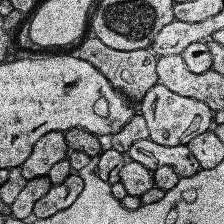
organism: Human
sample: Temporal Lobe